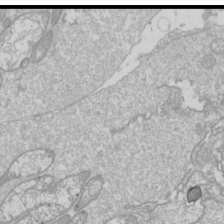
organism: Drosophila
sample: Cell division; meiosis; drosophila spermatocytes